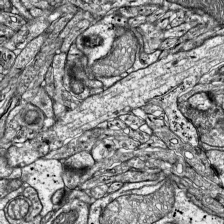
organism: Mouse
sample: Visual Cortex